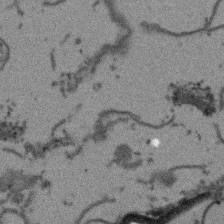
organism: Arabidopsis thaliana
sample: Root tip